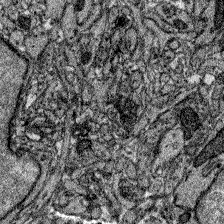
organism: Zebrafish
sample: Larval olfactory bulb